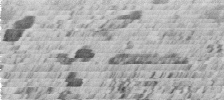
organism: C. elegans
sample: C. elegans embryo early stage